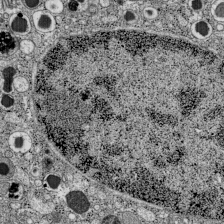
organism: C57BL Mouse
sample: Pancreatic islet